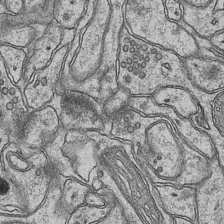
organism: Mouse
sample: CA1 Hippocampus